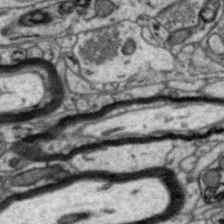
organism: Zebra finch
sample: Brain